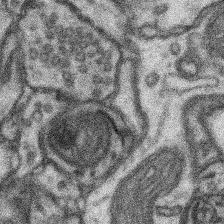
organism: Mouse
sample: Somatosensory cortex neuropil